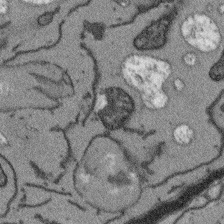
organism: Arabidopsis thaliana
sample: Root tip